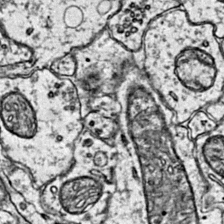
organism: Mouse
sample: Primary visual cortex